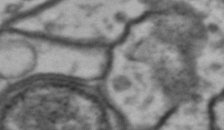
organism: Drosophila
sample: Brain